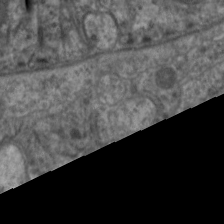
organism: C. elegans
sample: Pharynx